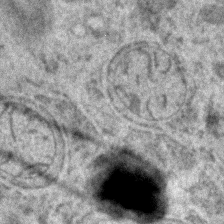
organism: Zebrafish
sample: Zebrafish embryo